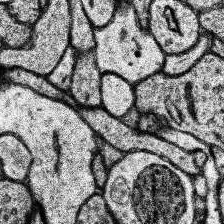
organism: Human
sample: Temporal Lobe